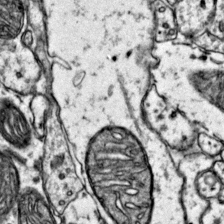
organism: Mouse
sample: Primary visual cortex